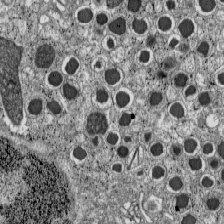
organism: C57BL Mouse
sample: Pancreatic islet